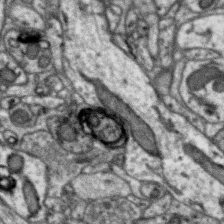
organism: Zebra finch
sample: Brain